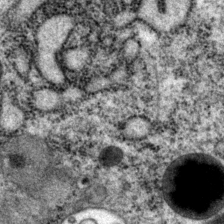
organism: P. pacificus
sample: Pharynx